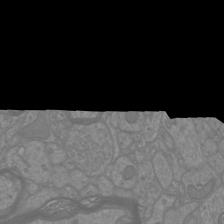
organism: Mouse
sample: Cortical neurons